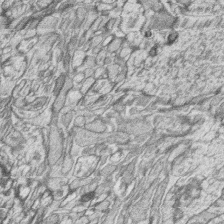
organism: Zebrafish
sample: synaptic ribbons in rod cells and cone cells